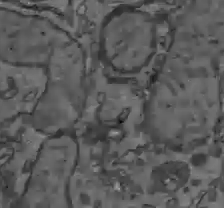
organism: C57BL Mouse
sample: Liver